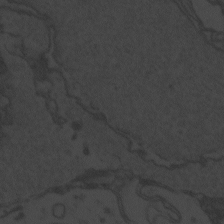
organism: Zebrafish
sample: Macrophage infected with Toxoplasma gondii